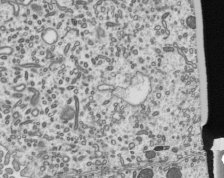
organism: Mouse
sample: Mouse epididymis efferent ductule cilia